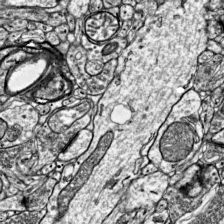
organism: Mouse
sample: Visual Cortex